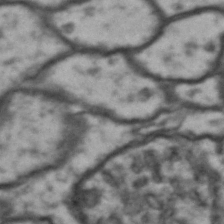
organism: Drosophila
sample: Brain